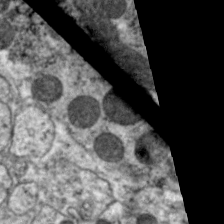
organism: C. elegans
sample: Pharynx